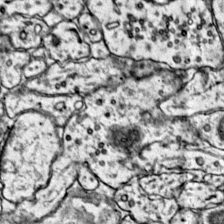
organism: Mouse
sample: Primary visual cortex